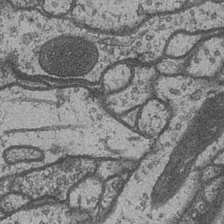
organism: Drosophila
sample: Optic medulla